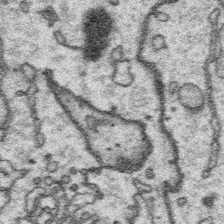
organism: Platynereis dumerilii